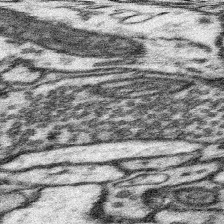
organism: Mouse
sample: Somatosensory cortex neuropil